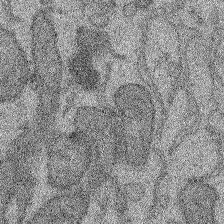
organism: Human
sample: HeLa cells